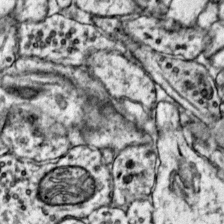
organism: Mouse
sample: Primary visual cortex